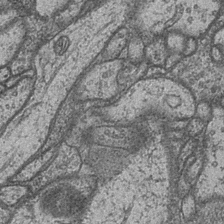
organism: Drosophila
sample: Optic medulla